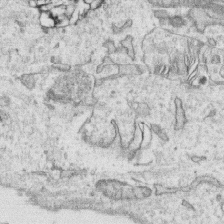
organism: Human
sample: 1205lu cells